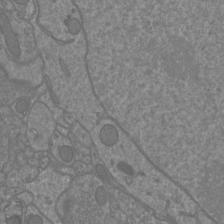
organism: Mouse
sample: Cortical neurons